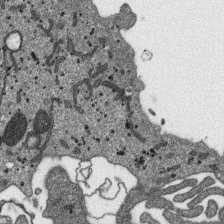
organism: Human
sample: Lung epithelial cells infected with SARS-CoV-2